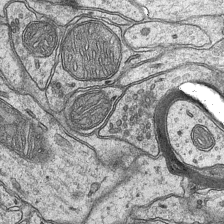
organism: Mouse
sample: CA1 Hippocampus